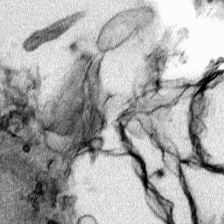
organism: Human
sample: Mitochondria in HCT116 cells